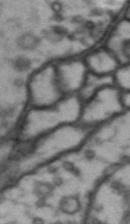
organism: Drosophila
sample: Brain